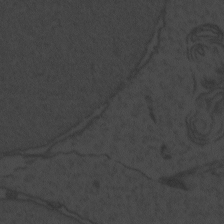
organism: Zebrafish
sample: Macrophage infected with Toxoplasma gondii